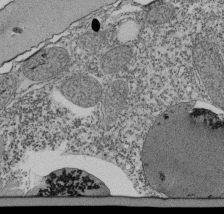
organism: Tetrahymena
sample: Cilia in tetrahymena